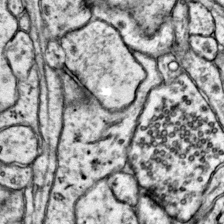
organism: Mouse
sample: Primary visual cortex